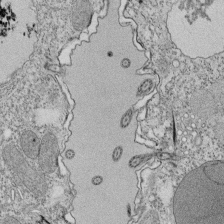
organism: Tetrahymena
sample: Cilia in tetrahymena